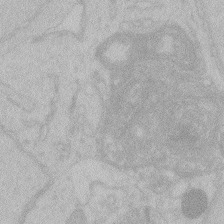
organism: Zebrafish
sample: Macrophage infected with Toxoplasma gondii